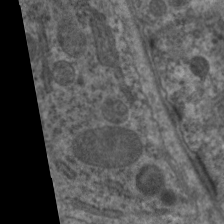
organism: C. elegans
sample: Pharynx